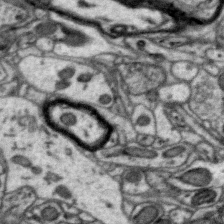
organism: Zebra finch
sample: Brain